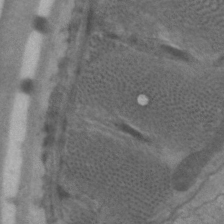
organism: C. elegans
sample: Pharynx